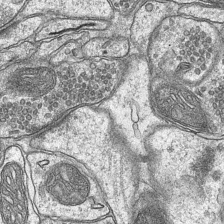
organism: Mouse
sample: CA1 Hippocampus